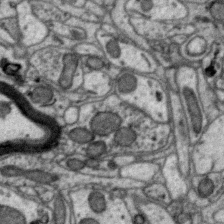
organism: Zebra finch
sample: Brain